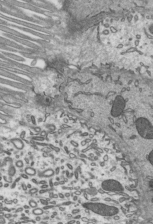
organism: Mouse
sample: Mouse epididymis efferent ductule cilia